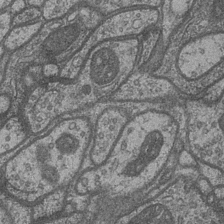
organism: Drosophila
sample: Optic medulla